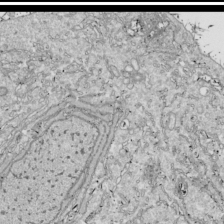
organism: Drosophila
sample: Cell division; meiosis; drosophila spermatocytes